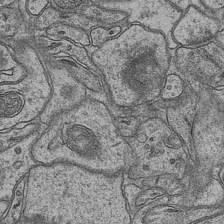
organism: Mouse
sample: CA1 Hippocampus